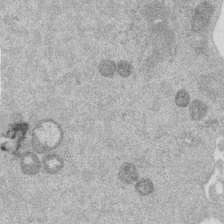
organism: Mouse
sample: Dividing mouse embryo 1 cell stage